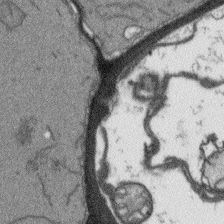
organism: Arabidopsis thaliana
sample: Root tip